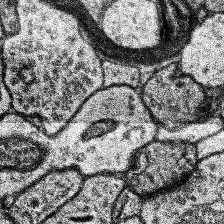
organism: Human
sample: Temporal Lobe